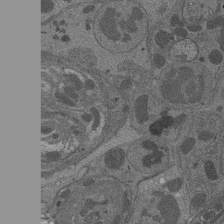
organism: Drosophila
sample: Antenna